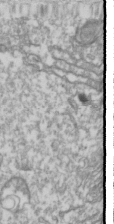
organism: Drosophila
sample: Cell division; meiosis; drosophila spermatocytes